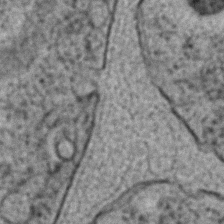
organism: C. elegans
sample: C. elegans embryo